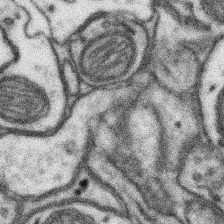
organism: Mouse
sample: Somatosensory cortex neuropil